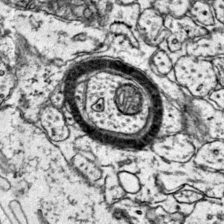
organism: Mouse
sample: Primary visual cortex